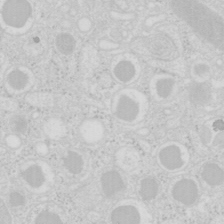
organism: Mouse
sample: Pancreas